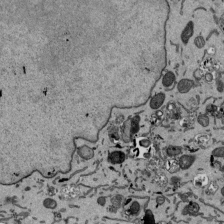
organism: Mouse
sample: ED-1 cell nuclei; centrioles